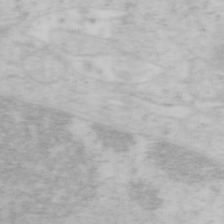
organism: Mouse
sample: OT-I killer T cells with ID8 ovarian cancer cells